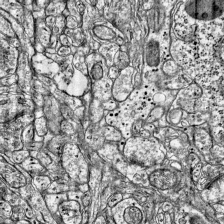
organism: Mouse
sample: Visual Cortex